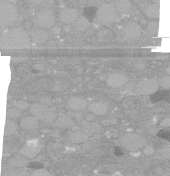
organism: C. elegans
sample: C. elegans oocyte; sperm cells